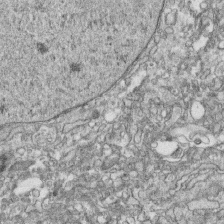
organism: Human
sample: CRL-1474